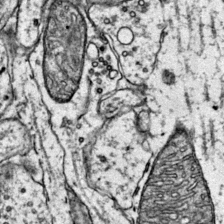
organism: Mouse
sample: Primary visual cortex